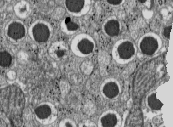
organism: C57BL Mouse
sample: Pancreatic islet